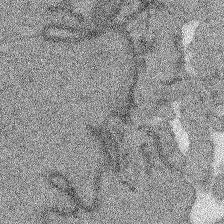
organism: Human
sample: HeLa cells